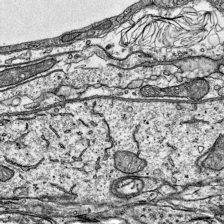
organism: Mouse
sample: Visual Cortex